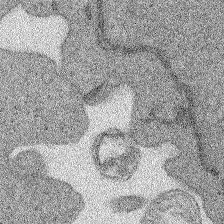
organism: Human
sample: HeLa cells